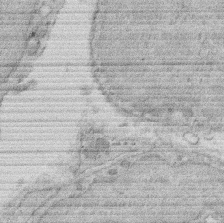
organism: Rat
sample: Salivary granule